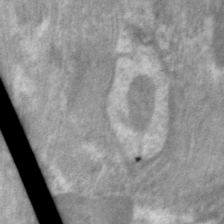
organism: C. elegans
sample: Pharynx